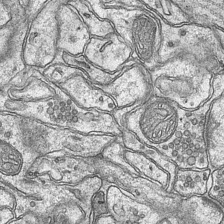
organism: Mouse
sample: CA1 Hippocampus